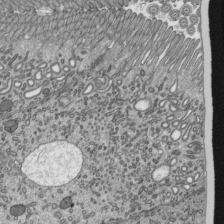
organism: Mouse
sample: Mouse epididymis efferent ductule cilia